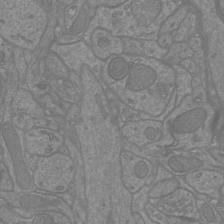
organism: Mouse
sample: Cortical neurons